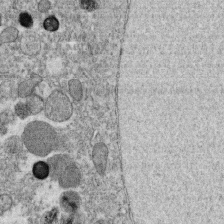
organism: C. elegans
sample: C. elegans oocyte; sperm cells